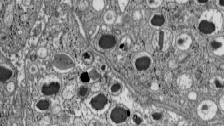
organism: C57BL Mouse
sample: Pancreatic islet